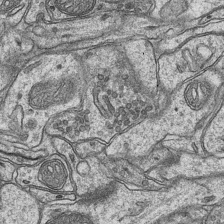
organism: Mouse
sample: CA1 Hippocampus